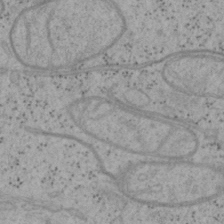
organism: Human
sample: HeLa cells